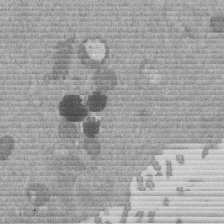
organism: Mouse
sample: Dividing mouse embryo 1 cell stage